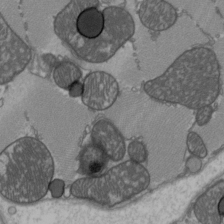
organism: C57BL Mouse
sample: Heart